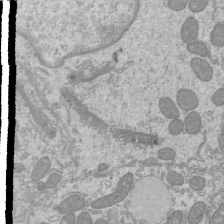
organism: Mouse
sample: Cilia; mouse epididymis